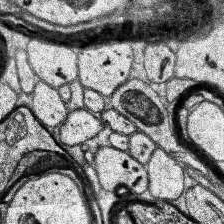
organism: Human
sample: Temporal Lobe